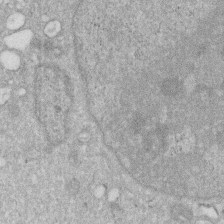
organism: Human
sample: HIV infected U937 cells